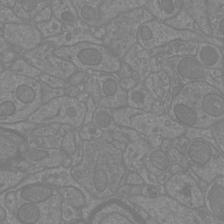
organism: Mouse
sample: Cortical neurons